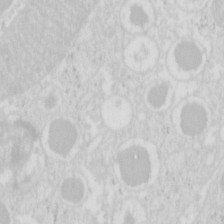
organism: Mouse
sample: Pancreas